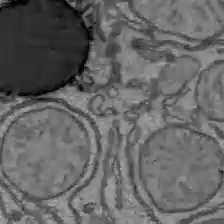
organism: C57BL Mouse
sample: Liver